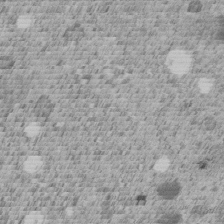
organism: C. elegans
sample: C. elegans embryo early stage